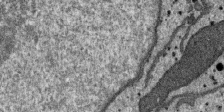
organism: Human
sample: Lung epithelial cells, uninfected (mock) control